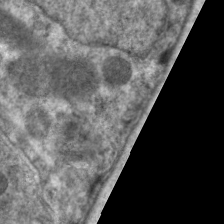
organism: C. elegans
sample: Pharynx